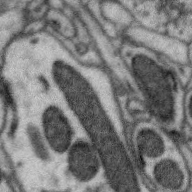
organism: Zebra finch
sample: Brain